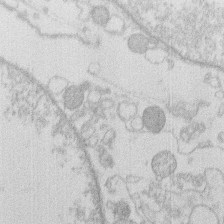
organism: Human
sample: Macrophage cells